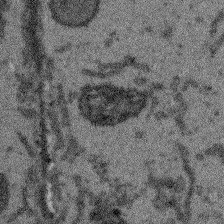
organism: Arabidopsis thaliana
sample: Root tip